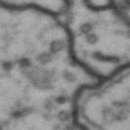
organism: Drosophila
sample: Brain